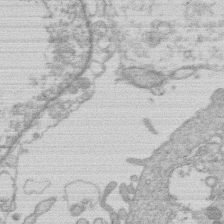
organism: Human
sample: Macrophage cells